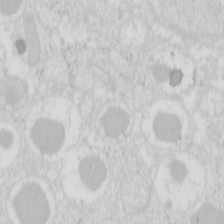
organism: Mouse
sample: Pancreas